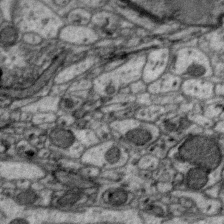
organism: Zebra finch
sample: Brain